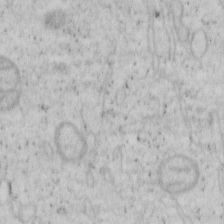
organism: Human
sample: HeLa cells